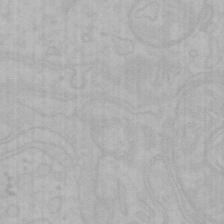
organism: Mouse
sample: Choroid plexus